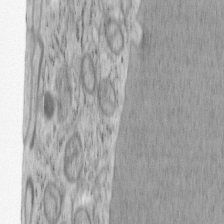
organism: Human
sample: HeLa cells